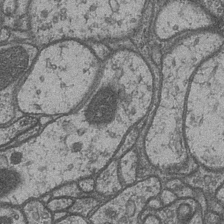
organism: Drosophila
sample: Optic medulla